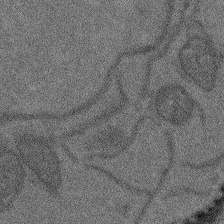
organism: Arabidopsis thaliana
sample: Root tip